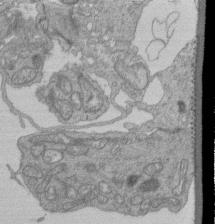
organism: Human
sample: Retinal organoid Rod and Cone cells